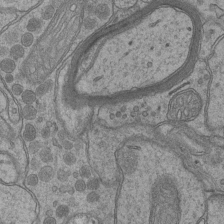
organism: Mouse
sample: CA1 Hippocampus